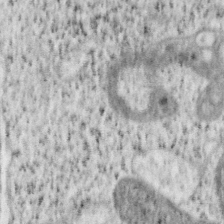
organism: Mouse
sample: OT-I killer T cells with ID8 ovarian cancer cells